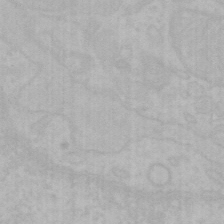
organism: Mouse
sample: Choroid plexus